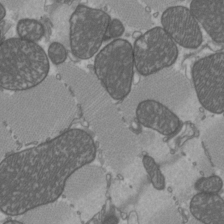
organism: C57BL Mouse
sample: Heart